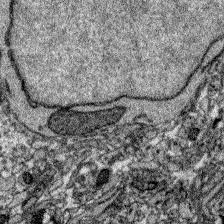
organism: Zebrafish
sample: Larval olfactory bulb